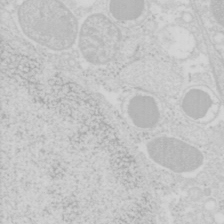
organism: Mouse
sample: Pancreas